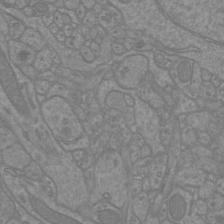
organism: Mouse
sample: Cortical neurons